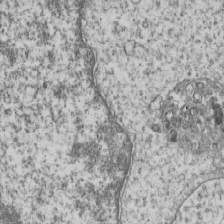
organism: Human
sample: MDA-MB-231 cells